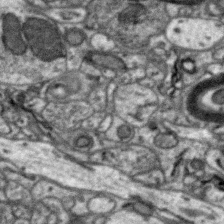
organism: Zebra finch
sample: Brain